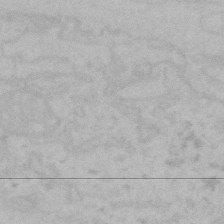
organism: Mouse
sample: Choroid plexus